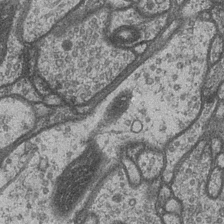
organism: Drosophila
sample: Optic medulla